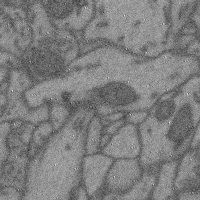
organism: Mouse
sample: Cerebral cortex